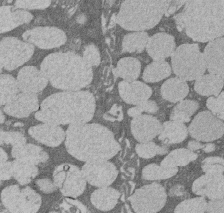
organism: Rat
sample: Salivary granule